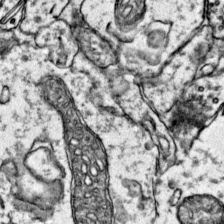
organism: Mouse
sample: Primary visual cortex